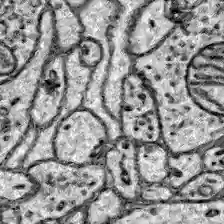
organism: Zebrafish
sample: Brain